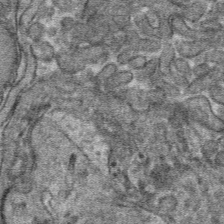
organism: Mouse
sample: Mouse hepatocytes